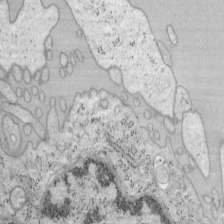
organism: Mouse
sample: OT-I killer T cells with ID8 ovarian cancer cells